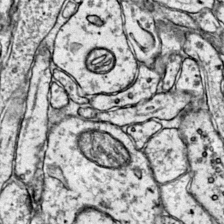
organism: Mouse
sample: Primary visual cortex